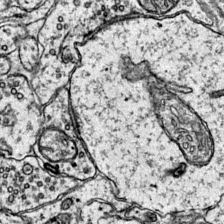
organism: Mouse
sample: Primary visual cortex